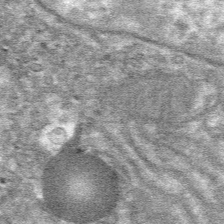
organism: Mouse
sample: Mouse hepatocytes